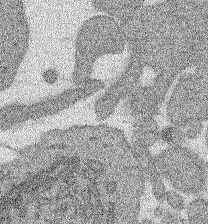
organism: Human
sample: HeLa cells